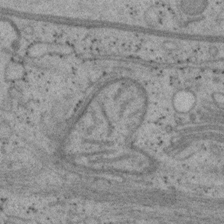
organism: Human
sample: HeLa cells